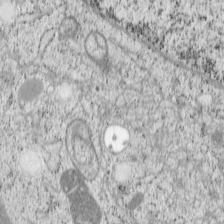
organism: African green monkey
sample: COS-7 cells